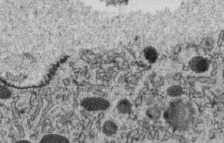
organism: C. elegans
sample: C. elegans oocyte; sperm cells